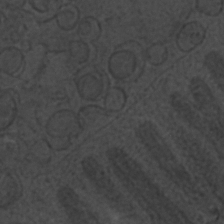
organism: C. elegans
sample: C. elegans embryo